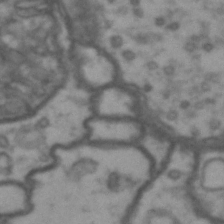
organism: Drosophila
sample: Brain